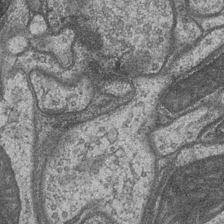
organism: Drosophila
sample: Optic medulla